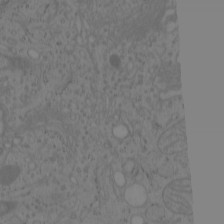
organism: Human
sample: HeLa cells